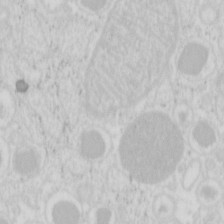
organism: Mouse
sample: Pancreas